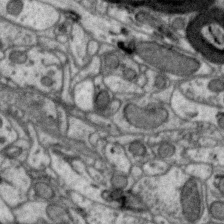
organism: Zebra finch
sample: Brain